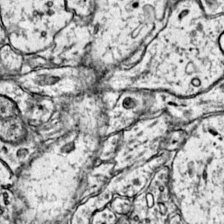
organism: Mouse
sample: Primary visual cortex